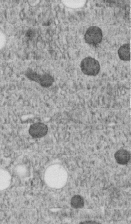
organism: C. elegans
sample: C. elegans embryo early stage